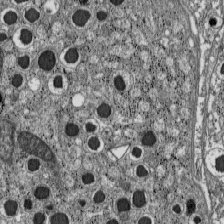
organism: C57BL Mouse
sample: Pancreatic islet